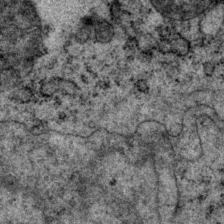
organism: P. pacificus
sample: Pharynx